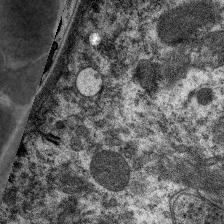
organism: C. elegans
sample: Pharynx